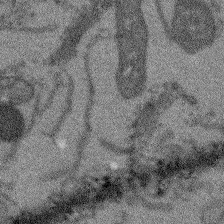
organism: Arabidopsis thaliana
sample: Root tip